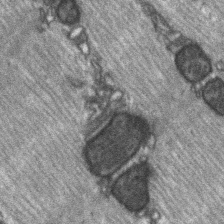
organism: C57BL Mouse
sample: Soleus